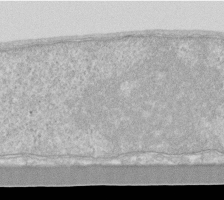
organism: Human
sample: Fibroblast cells